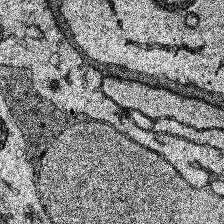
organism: Human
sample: Temporal Lobe